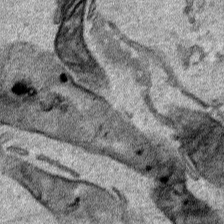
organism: Human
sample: Mitochondria in HCT116 cells